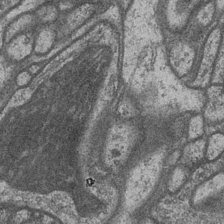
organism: Drosophila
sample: Optic medulla